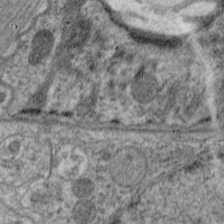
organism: C. elegans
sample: Pharynx